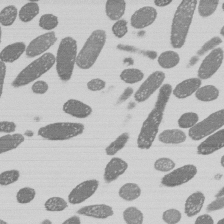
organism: E. coli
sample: Bacterial nucleoid